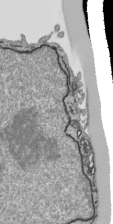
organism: Human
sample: Mitochondria in HCT116 cells